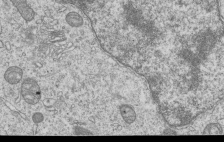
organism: Human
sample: MDA-MB-231 cells